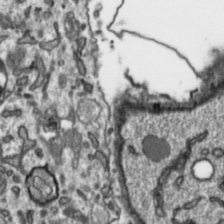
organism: Toxoplasma gondii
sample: Parasites in a vacuole inside a host cell